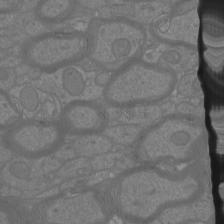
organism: Mouse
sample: Cortical neurons